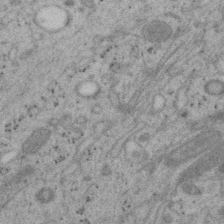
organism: Human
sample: HeLa cells